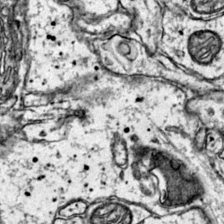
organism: Mouse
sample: Primary visual cortex